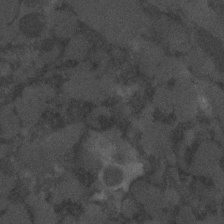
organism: C. elegans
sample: C. elegans embryo